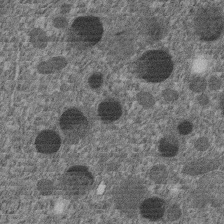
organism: C. elegans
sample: C. elegans embryo early stage